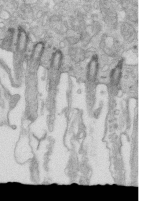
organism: Mouse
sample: Multiciliated cells